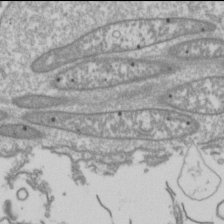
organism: Drosophila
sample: Cell division; meiosis; drosophila spermatocytes